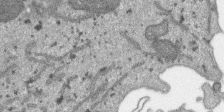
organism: Human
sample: Lung epithelial cells infected with SARS-CoV-2